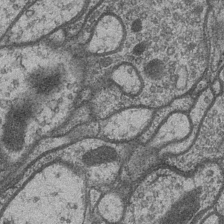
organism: Drosophila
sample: Optic medulla